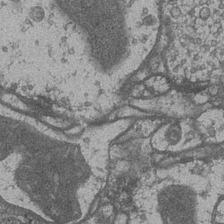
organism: Drosophila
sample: Optic medulla